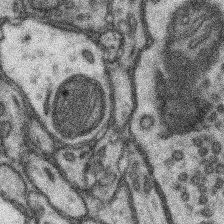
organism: Mouse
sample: Somatosensory cortex neuropil